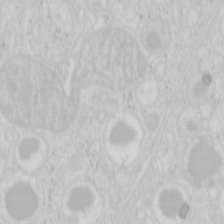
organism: Mouse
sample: Pancreas